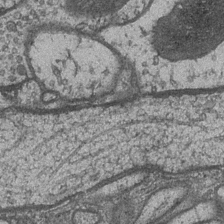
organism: Drosophila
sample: Optic medulla